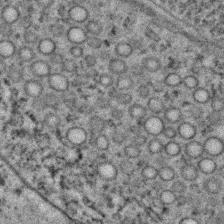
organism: C. elegans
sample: C. elegans embryo